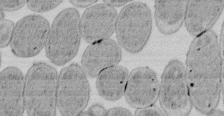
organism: E. coli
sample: Bacterial nucleoid